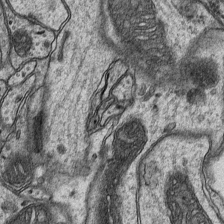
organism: Mouse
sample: CA1 Hippocampus